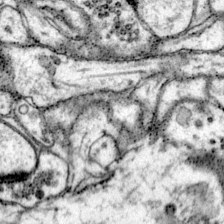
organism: Mouse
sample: Primary visual cortex